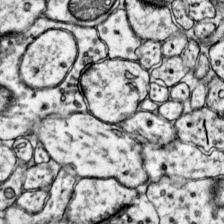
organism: Mouse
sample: Primary visual cortex